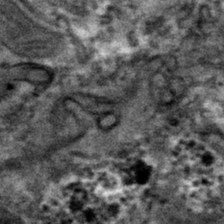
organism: Mouse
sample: Mouse hepatocytes